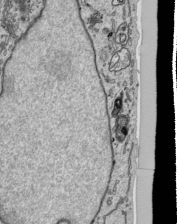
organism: Human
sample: Mitochondria in HCT116 cells